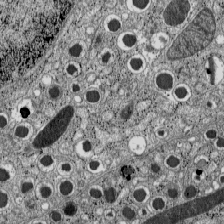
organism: C57BL Mouse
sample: Pancreatic islet